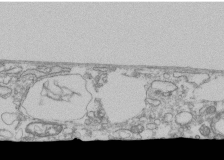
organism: Human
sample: Fibroblast cells